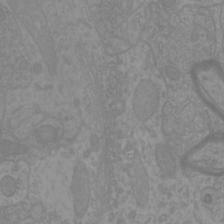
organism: Mouse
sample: Cortical neurons